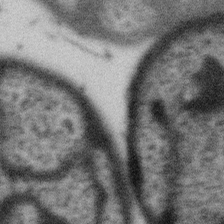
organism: Gemmata obscuriglobus